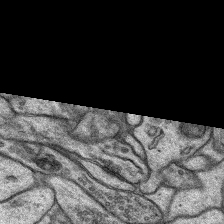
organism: Rat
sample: Hippocampus